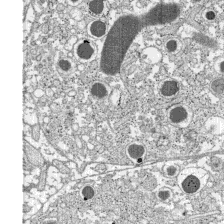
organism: C57BL Mouse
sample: Pancreatic islet